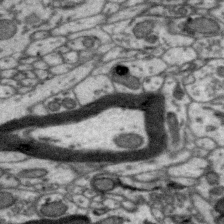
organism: Zebra finch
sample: Brain